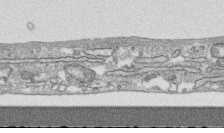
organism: Human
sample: CRL-1474